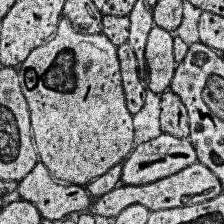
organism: Human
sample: Temporal Lobe